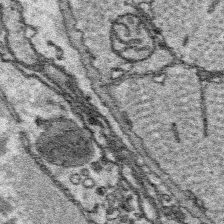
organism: Platynereis dumerilii